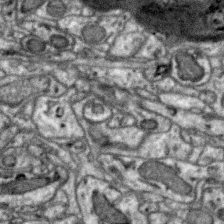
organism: Zebra finch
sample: Brain